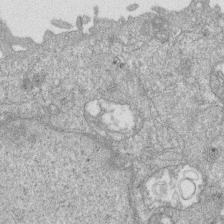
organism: Human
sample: HeLa cell HIV synapse